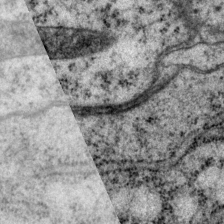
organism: P. pacificus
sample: Pharynx